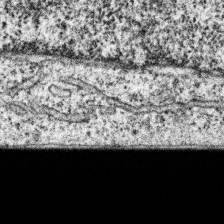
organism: Human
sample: HeLa cells